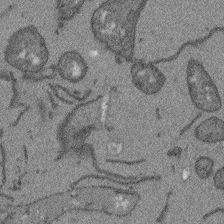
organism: Arabidopsis thaliana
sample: Root tip